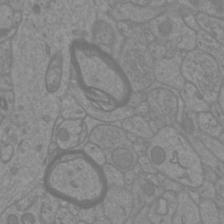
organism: Mouse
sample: Cortical neurons